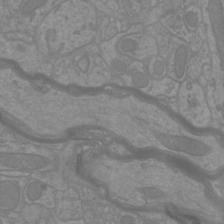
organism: Mouse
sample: Cortical neurons